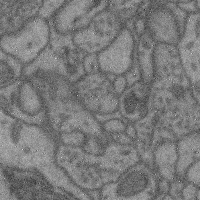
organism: Mouse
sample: Cerebral cortex